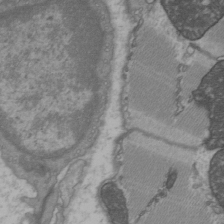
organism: C57BL Mouse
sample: Heart